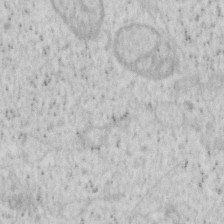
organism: Human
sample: HeLa cells